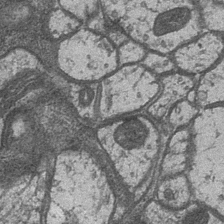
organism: Drosophila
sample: Optic medulla